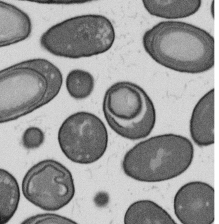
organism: B. subtilis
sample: Bacterial spore